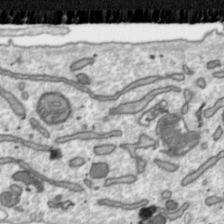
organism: Toxoplasma gondii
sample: Parasites in a vacuole inside a host cell